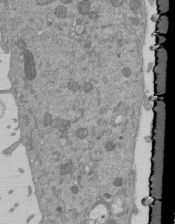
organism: Mouse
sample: ED-1 cell nuclei; centrioles